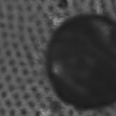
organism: C57BL Mouse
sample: Heart